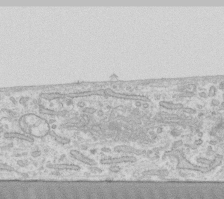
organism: Human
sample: Fibroblast cells